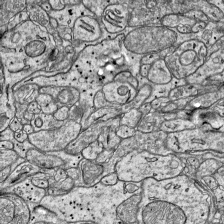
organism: Mouse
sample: Visual Cortex